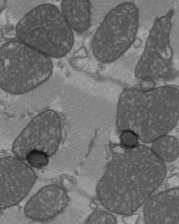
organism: C57BL Mouse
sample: Heart